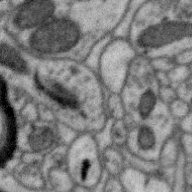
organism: Zebra finch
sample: Brain